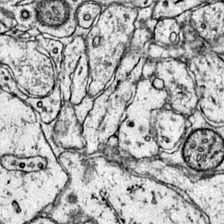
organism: Mouse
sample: Primary visual cortex